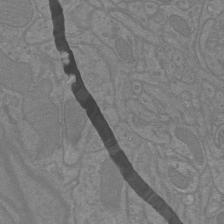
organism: Mouse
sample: Cortical neurons